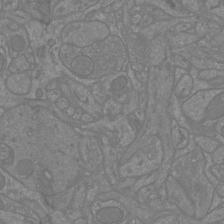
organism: Mouse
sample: Cortical neurons